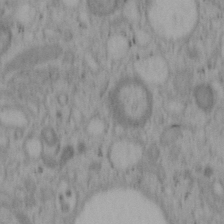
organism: Mouse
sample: OT-I killer T cells with ID8 ovarian cancer cells